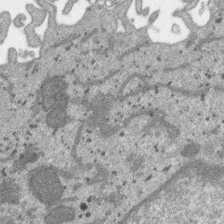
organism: Human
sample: Lung epithelial cells infected with SARS-CoV-2